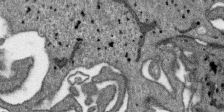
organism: Human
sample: Lung epithelial cells, uninfected (mock) control